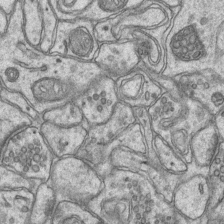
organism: Mouse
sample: CA1 Hippocampus